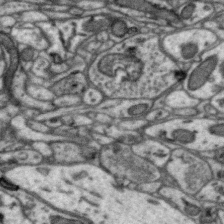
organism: Zebra finch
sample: Brain